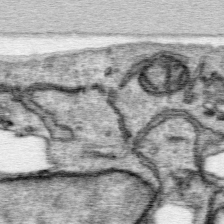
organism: Human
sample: HeLa cells